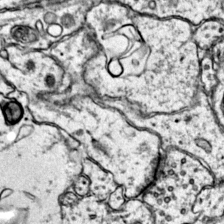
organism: Mouse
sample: Primary visual cortex